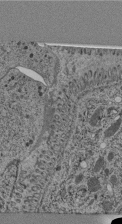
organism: C. elegans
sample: C. elegans pharynx